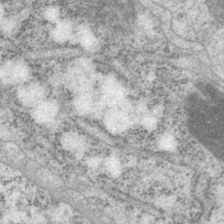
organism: P. pacificus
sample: Pharynx